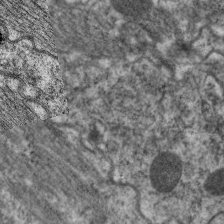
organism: C. elegans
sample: Pharynx